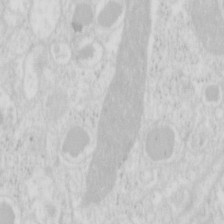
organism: Mouse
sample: Pancreas